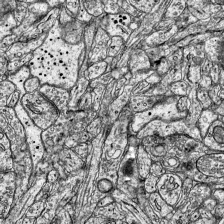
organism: Mouse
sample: Visual Cortex